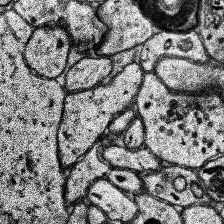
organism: Human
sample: Temporal Lobe